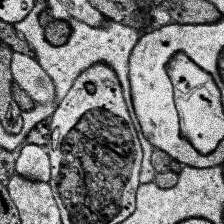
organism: Human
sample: Temporal Lobe